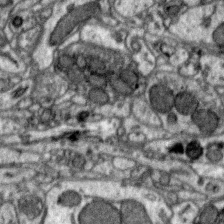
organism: Zebra finch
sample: Brain